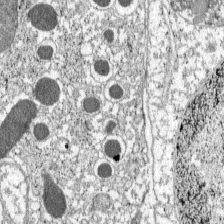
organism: C57BL Mouse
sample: Pancreatic islet